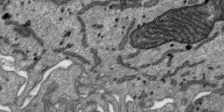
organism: Human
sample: Lung epithelial cells, uninfected (mock) control